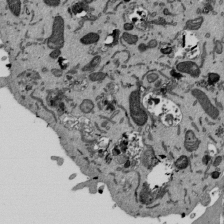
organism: Mouse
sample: ED-1 cell nuclei; centrioles